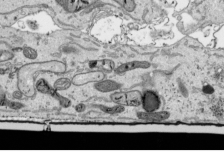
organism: Human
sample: Mitochondria in HCT116 cells